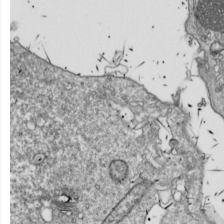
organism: Drosophila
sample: Cell division; meiosis; drosophila spermatocytes